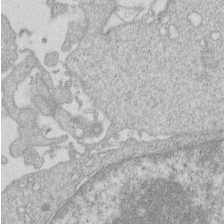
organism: Human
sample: Macrophage cells